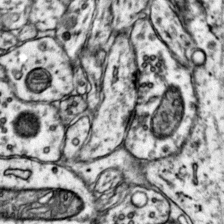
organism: Mouse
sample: Primary visual cortex